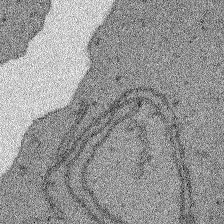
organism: Human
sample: HeLa cells